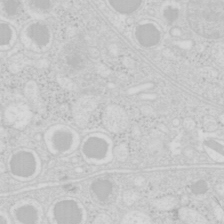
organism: Mouse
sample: Pancreas